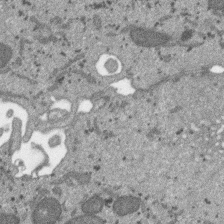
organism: Human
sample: Lung epithelial cells infected with SARS-CoV-2